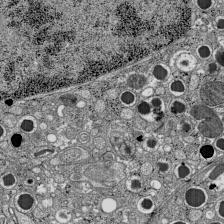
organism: C57BL Mouse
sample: Pancreatic islet